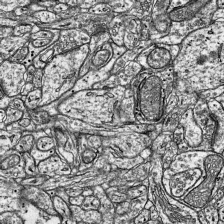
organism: Mouse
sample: Visual Cortex